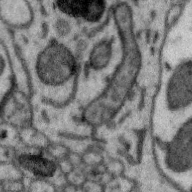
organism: Zebra finch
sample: Brain